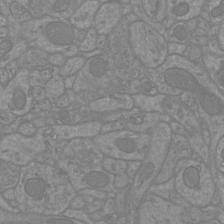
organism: Mouse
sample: Cortical neurons